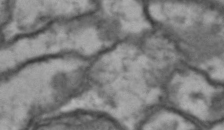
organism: Drosophila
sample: Brain